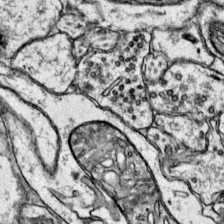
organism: Mouse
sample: Primary visual cortex